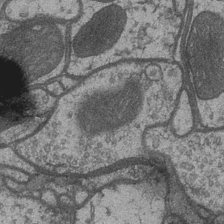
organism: Drosophila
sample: Optic medulla